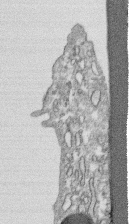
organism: Human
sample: CRL-1474